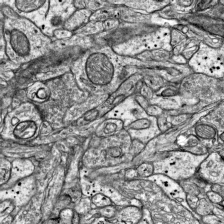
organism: Mouse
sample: Visual Cortex